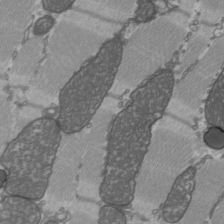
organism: C57BL Mouse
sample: Heart